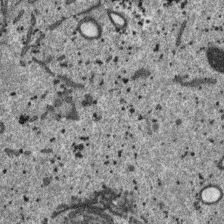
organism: Human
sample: Lung epithelial cells infected with SARS-CoV-2